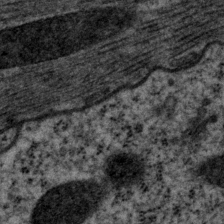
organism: P. pacificus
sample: Pharynx